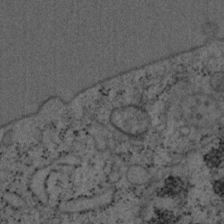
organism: Human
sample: HeLa cells